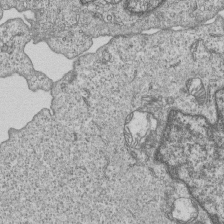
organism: Human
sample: MDA-MB-231 cells